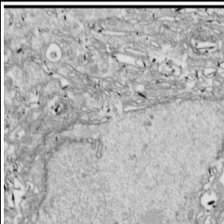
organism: Drosophila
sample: Cell division; meiosis; drosophila spermatocytes